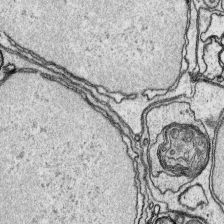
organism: Platynereis dumerilii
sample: Parapodia